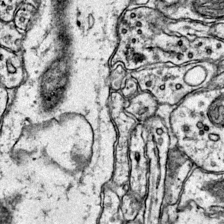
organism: Mouse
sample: Primary visual cortex